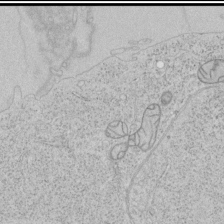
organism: Human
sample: Mitochondria in HCT116 cells